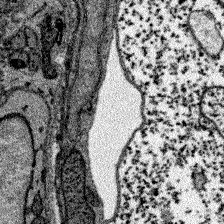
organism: Zebrafish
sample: Larval olfactory bulb